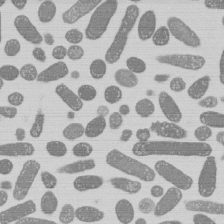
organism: E. coli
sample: Bacterial nucleoid